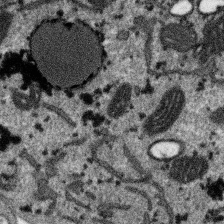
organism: Human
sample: Lung epithelial cells infected with SARS-CoV-2